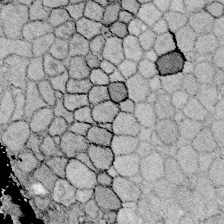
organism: Zebrafish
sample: Whole-Brain